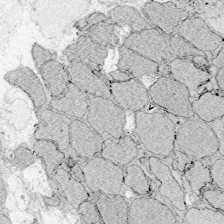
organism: Zebrafish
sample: Whole-Brain